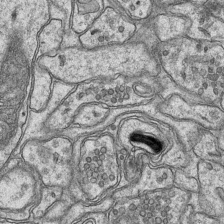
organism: Mouse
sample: CA1 Hippocampus